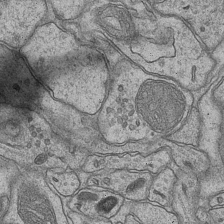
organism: Mouse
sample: CA1 Hippocampus